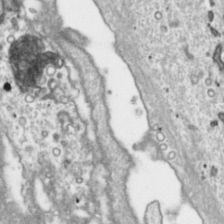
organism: Toxoplasma gondii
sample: Parasites in a vacuole inside a host cell